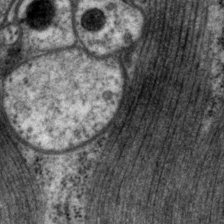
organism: P. pacificus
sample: Pharynx